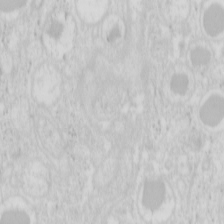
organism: Mouse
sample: Pancreas